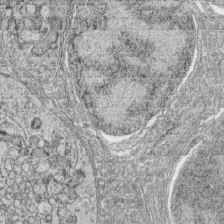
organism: Zebrafish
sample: synaptic ribbons in rod cells and cone cells